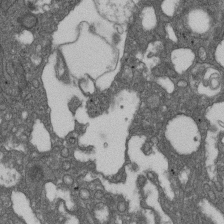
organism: Drosophila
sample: Nephrocyte